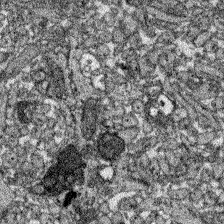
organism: Zebrafish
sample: Larval olfactory bulb